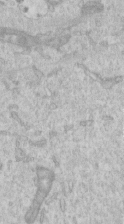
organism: Human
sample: Centriole in RPE cells